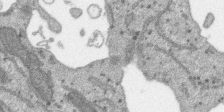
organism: Human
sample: Lung epithelial cells infected with SARS-CoV-2